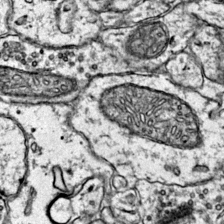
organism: Mouse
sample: Primary visual cortex